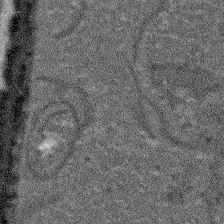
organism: Arabidopsis thaliana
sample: Root tip